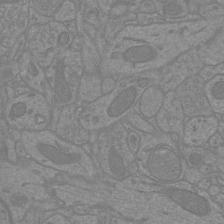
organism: Mouse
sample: Cortical neurons